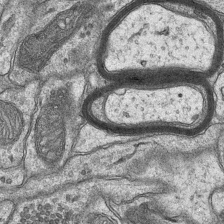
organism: Mouse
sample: CA1 Hippocampus